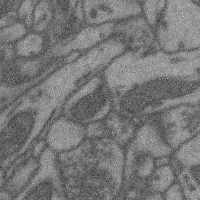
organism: Mouse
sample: Cerebral cortex